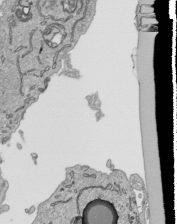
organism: Human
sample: Mitochondria in HCT116 cells